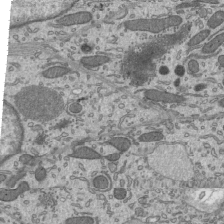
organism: Mouse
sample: Mouse epididymis efferent ductule cilia